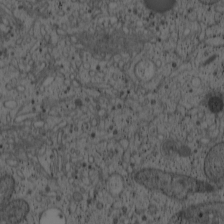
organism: African green monkey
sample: COS-7 cells